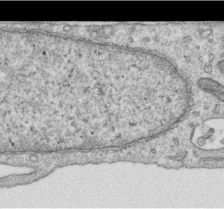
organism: Human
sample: Centriole in RPE cells